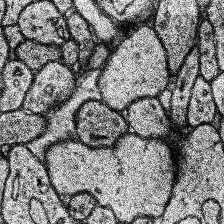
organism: Human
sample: Temporal Lobe